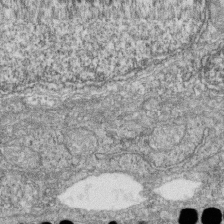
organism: Zebrafish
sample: Cilia; retinal pigment epithelium